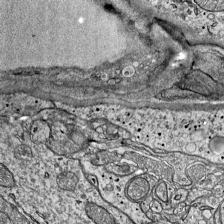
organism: Mouse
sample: Visual Cortex